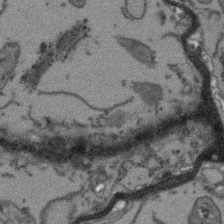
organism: Arabidopsis thaliana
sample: Root tip